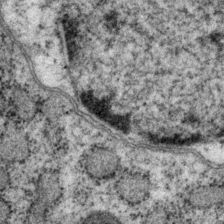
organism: P. pacificus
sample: Pharynx